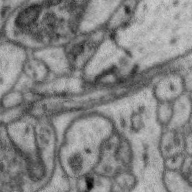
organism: Zebra finch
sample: Brain